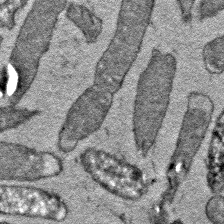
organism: E. coli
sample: E. Coli Bacteria